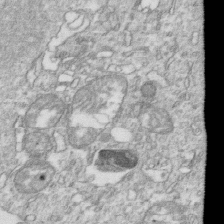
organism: Mouse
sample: Activated OT-1 CD8+ T cells